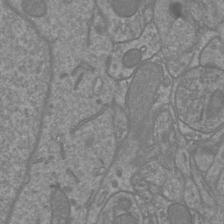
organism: Mouse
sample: Cortical neurons